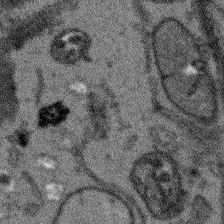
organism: Arabidopsis thaliana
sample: Root tip